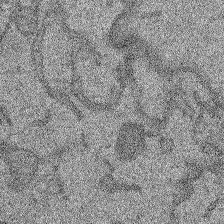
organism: Human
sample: HeLa cells